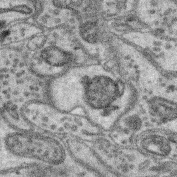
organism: Mouse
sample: Retina